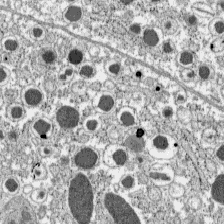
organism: C57BL Mouse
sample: Pancreatic islet